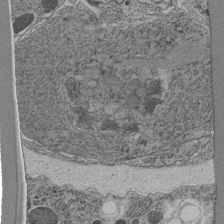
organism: C. elegans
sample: C. elegans pharynx